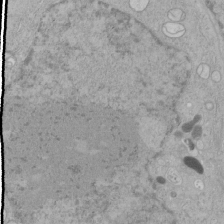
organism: Human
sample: Mitochondria in HCT116 cells